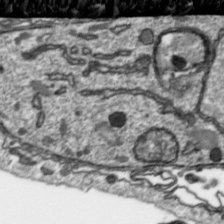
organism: Toxoplasma gondii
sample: Parasites in a vacuole inside a host cell